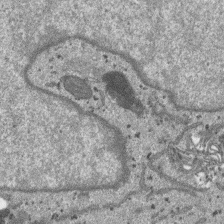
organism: Human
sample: Lung epithelial cells infected with SARS-CoV-2